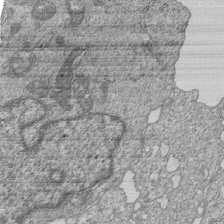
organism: Human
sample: MDA-MB-231 cells